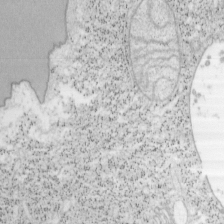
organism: Mouse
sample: OT-I killer T cells with ID8 ovarian cancer cells